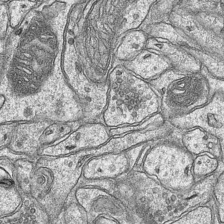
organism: Mouse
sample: CA1 Hippocampus